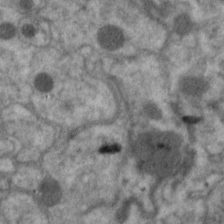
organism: C. elegans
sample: Pharynx